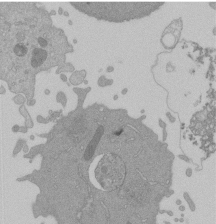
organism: Mouse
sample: Activated Pmel transgenic CD8+ T Cells